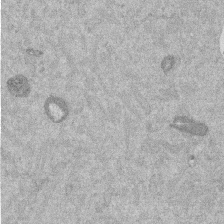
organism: Mouse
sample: Dividing mouse embryo 1 cell stage